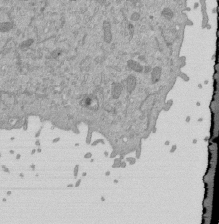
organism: Mouse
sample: ED-1 cell nuclei; centrioles